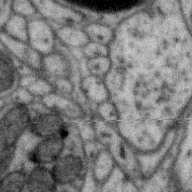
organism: Zebra finch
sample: Brain